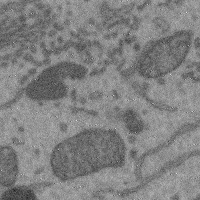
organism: Mouse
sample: Cerebral cortex